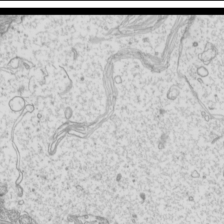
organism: Mouse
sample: Cilia; mouse epididymis